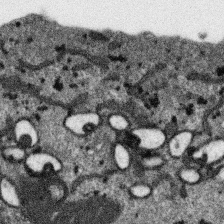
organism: Human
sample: Lung epithelial cells infected with SARS-CoV-2